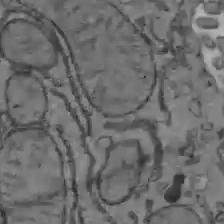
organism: C57BL Mouse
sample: Liver